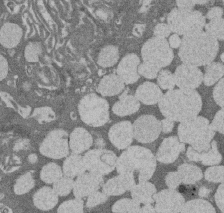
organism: Rat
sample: Salivary granule